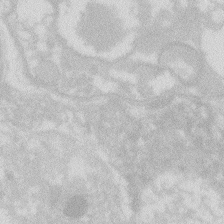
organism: Zebrafish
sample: Macrophage